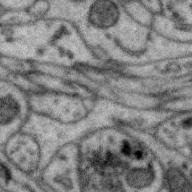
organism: Zebra finch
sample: Brain